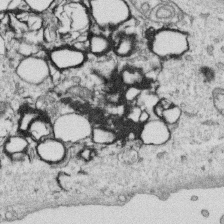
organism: Human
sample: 1205lu cells